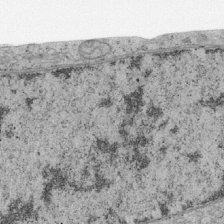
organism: Human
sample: HeLa cells